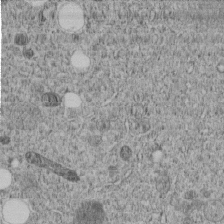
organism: C. elegans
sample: C. elegans embryo early stage